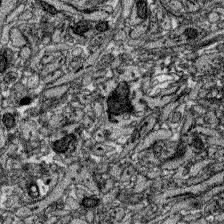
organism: Zebrafish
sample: Larval olfactory bulb